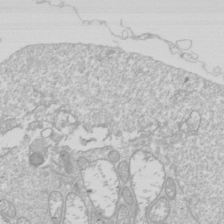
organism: Drosophila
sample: Cell division; meiosis; drosophila spermatocytes